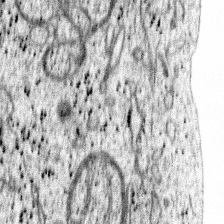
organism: Human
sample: HeLa cells